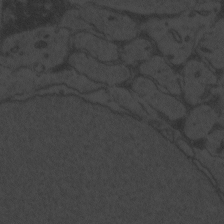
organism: Zebrafish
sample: Macrophage infected with Toxoplasma gondii